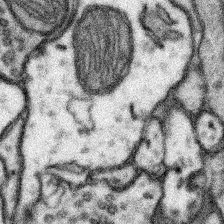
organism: Mouse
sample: Somatosensory cortex neuropil